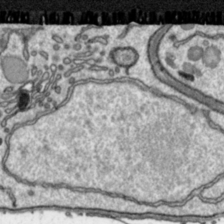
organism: Toxoplasma gondii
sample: Parasites in a vacuole inside a host cell